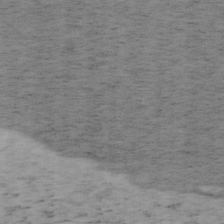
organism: Mouse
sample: OT-I killer T cells with ID8 ovarian cancer cells